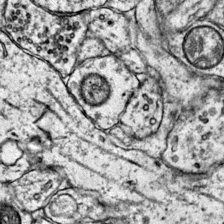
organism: Mouse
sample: Primary visual cortex